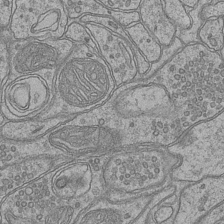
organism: Mouse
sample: CA1 Hippocampus